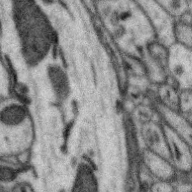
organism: Zebra finch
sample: Brain